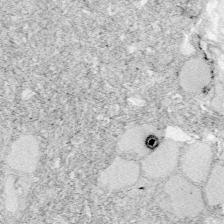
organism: Zebrafish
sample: Whole-Brain